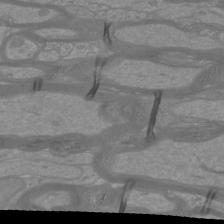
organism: Mouse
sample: Cortical neurons